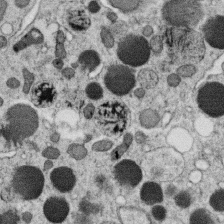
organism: C. elegans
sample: C. elegans oocyte; sperm cells